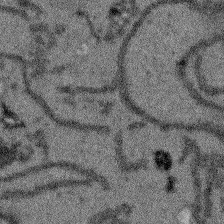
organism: Arabidopsis thaliana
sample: Root tip